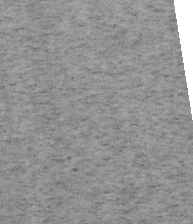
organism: Mouse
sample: OT-I killer T cells with ID8 ovarian cancer cells